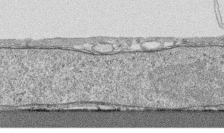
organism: Human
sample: CRL-1474